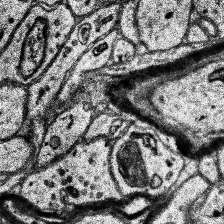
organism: Human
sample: Temporal Lobe